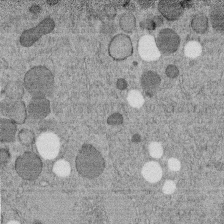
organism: C. elegans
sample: C. elegans embryo early stage